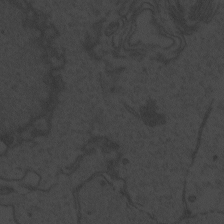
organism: Zebrafish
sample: Macrophage infected with Toxoplasma gondii